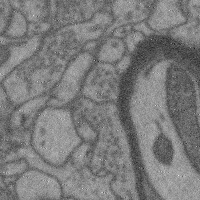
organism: Mouse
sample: Cerebral cortex